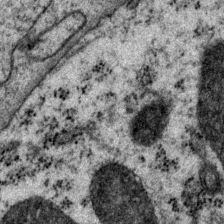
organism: P. pacificus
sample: Pharynx